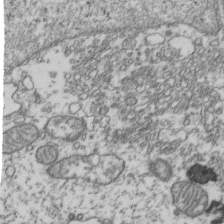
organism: Human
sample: Activated Jurkat CD4+ T cells